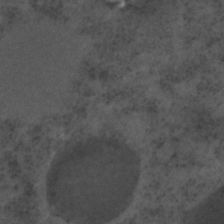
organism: C. elegans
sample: C. elegans embryo